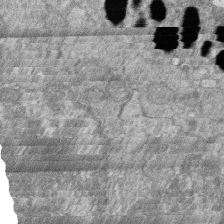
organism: Zebrafish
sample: Cilia; retinal pigment epithelium